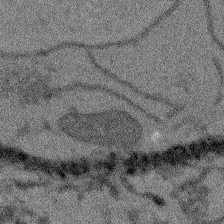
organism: Arabidopsis thaliana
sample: Root tip